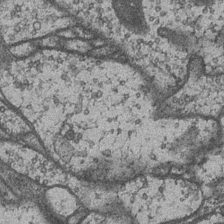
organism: Drosophila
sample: Optic medulla